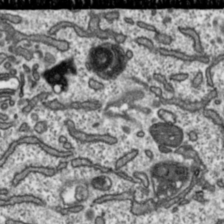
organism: Toxoplasma gondii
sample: Parasites in a vacuole inside a host cell